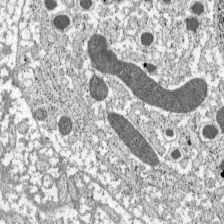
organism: C57BL Mouse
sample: Pancreatic islet